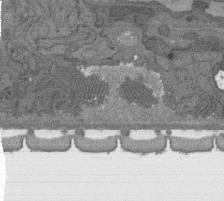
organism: C. elegans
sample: AFD neurons C. elegans